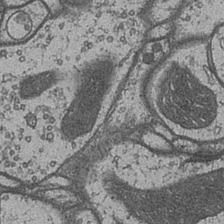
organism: Drosophila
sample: Optic medulla